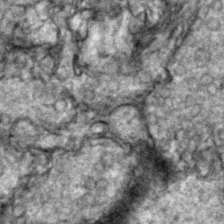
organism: Zebrafish